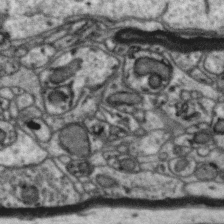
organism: Zebra finch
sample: Brain